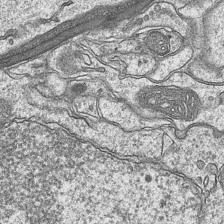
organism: Mouse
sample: CA1 Hippocampus